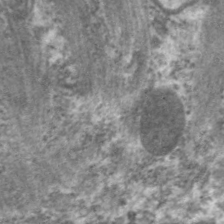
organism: C. elegans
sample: Pharynx